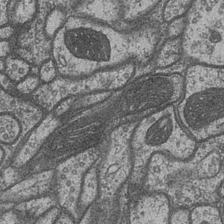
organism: Drosophila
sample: Optic medulla